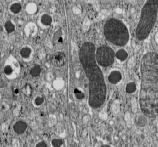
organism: C57BL Mouse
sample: Pancreatic islet